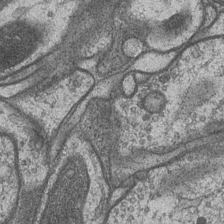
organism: Drosophila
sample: Optic medulla